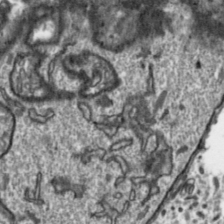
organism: Toxoplasma gondii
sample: Parasites in a vacuole inside a host cell